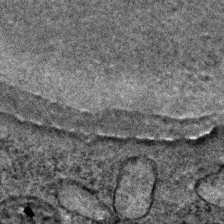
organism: C. elegans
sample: C. elegans embryo